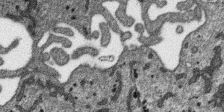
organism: Human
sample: Lung epithelial cells infected with SARS-CoV-2